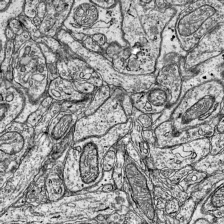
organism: Mouse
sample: Visual Cortex